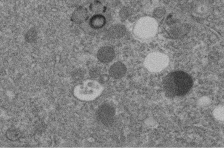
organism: C. elegans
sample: C. elegans embryo early stage